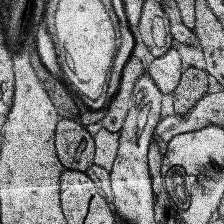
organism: Human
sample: Temporal Lobe